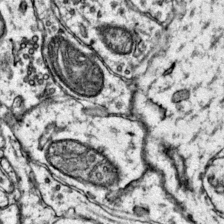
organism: Mouse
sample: Primary visual cortex